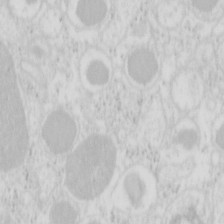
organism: Mouse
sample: Pancreas